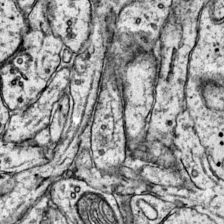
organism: Mouse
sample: Primary visual cortex